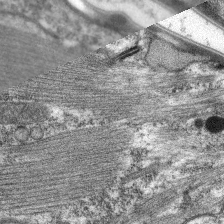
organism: C. elegans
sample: Pharynx